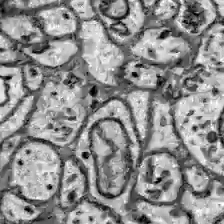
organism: Zebrafish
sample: Brain